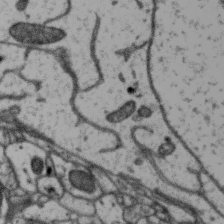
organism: Zebra finch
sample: Brain